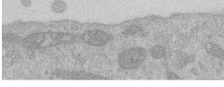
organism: Human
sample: Centriole in RPE cells